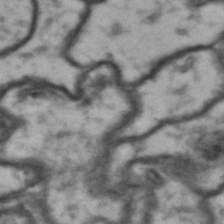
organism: Drosophila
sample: Brain